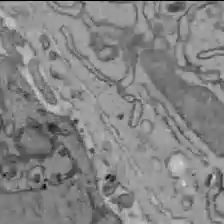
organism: C57BL Mouse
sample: Liver